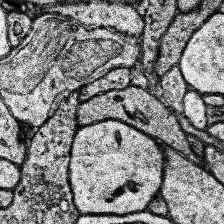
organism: Human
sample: Temporal Lobe